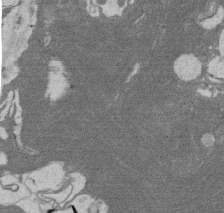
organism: Rat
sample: Salivary granule